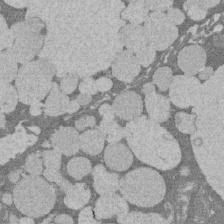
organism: Rat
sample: Salivary granule